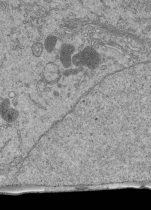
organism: Human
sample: Retinal organoid Rod and Cone cells